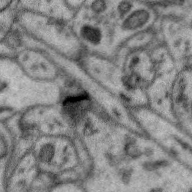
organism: Zebra finch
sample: Brain